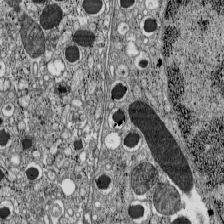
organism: C57BL Mouse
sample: Pancreatic islet